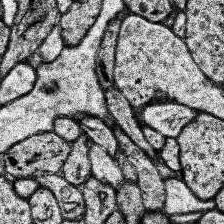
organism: Human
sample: Temporal Lobe